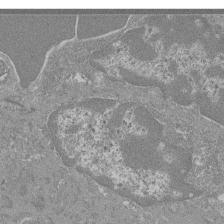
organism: Mouse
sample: Glomerulus